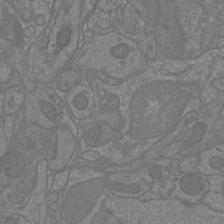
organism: Mouse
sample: Cortical neurons